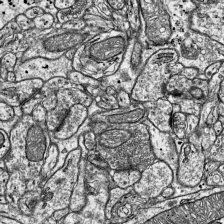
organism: Mouse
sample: Visual Cortex